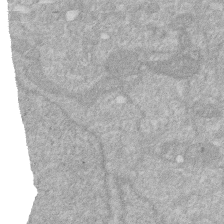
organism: Human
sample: HIV infected U937 cells